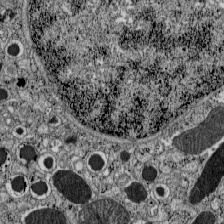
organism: C57BL Mouse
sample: Pancreatic islet